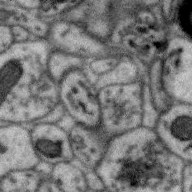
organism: Zebra finch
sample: Brain